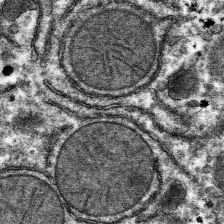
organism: Mouse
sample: Mouse hepatocytes